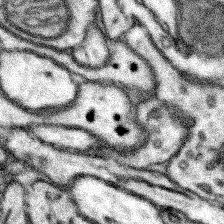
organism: Mouse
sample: Somatosensory cortex neuropil